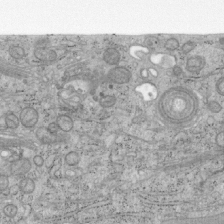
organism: Human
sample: HeLa cells